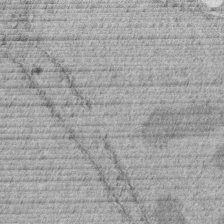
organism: C. elegans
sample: C. elegans embryo early stage